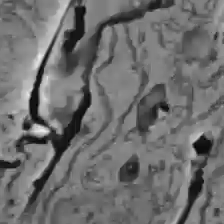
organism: C57BL Mouse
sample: Liver